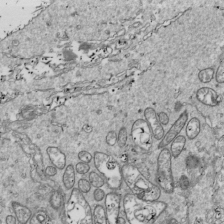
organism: Drosophila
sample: Cell division; meiosis; drosophila spermatocytes